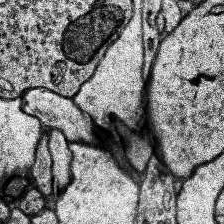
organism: Human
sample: Temporal Lobe